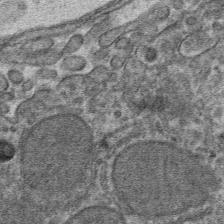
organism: Mouse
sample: Mouse hepatocytes